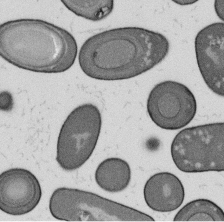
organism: B. subtilis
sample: Bacterial spore